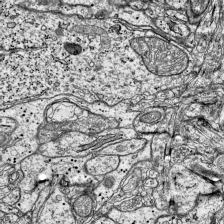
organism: Mouse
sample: Visual Cortex